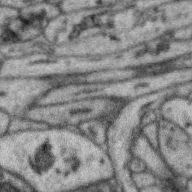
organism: Zebra finch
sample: Brain